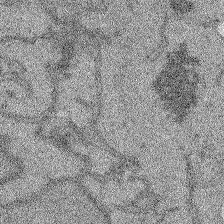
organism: Human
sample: HeLa cells